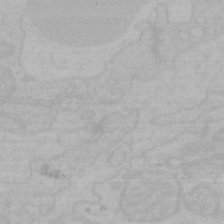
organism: Mouse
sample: Choroid plexus